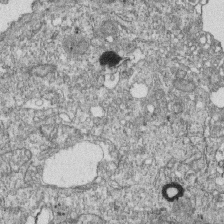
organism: Human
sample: HeLa cell HIV synapse